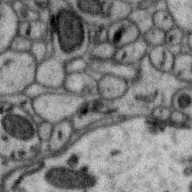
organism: Zebra finch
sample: Brain